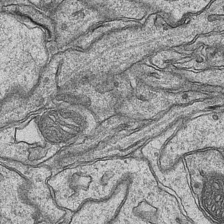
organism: Mouse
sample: CA1 Hippocampus